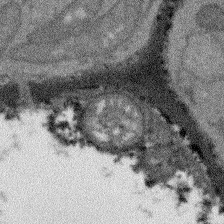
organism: Arabidopsis thaliana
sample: Root tip